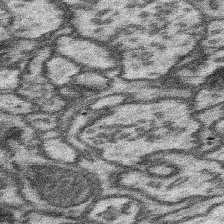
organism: Mouse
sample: Somatosensory cortex neuropil